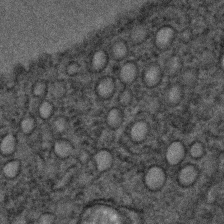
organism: C. elegans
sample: C. elegans embryo